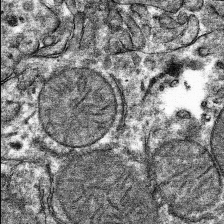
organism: Mouse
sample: Mouse hepatocytes